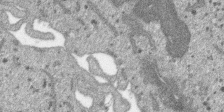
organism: Human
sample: Lung epithelial cells infected with SARS-CoV-2